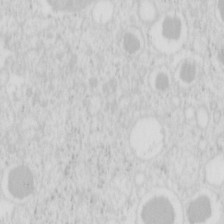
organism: Mouse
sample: Pancreas